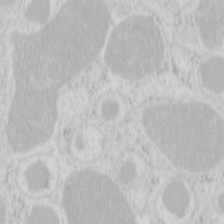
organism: Mouse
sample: Pancreas